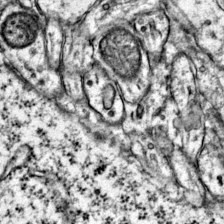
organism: Mouse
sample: Primary visual cortex